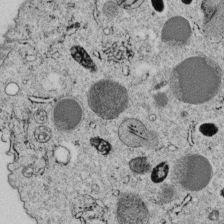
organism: C. elegans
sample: C. elegans embryo early stage